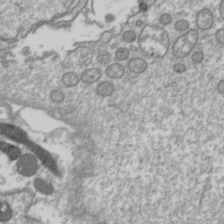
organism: Drosophila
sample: Cell division; meiosis; drosophila spermatocytes